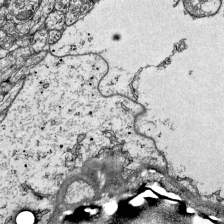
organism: Mouse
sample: Visual Cortex